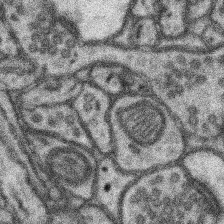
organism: Mouse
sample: Somatosensory cortex neuropil